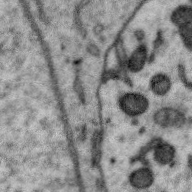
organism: Zebra finch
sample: Brain